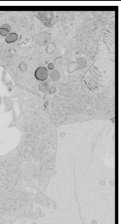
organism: Human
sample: Mitochondria in HCT116 cells